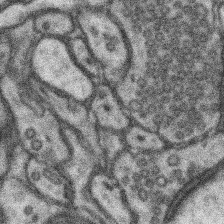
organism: Mouse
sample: Somatosensory cortex neuropil